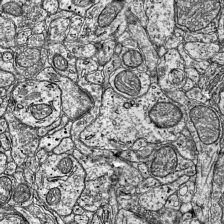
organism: Mouse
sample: Visual Cortex